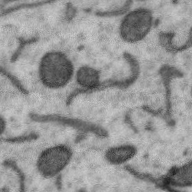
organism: Zebra finch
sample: Brain